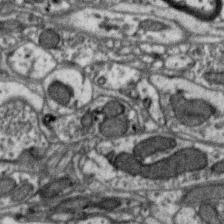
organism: Zebra finch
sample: Brain